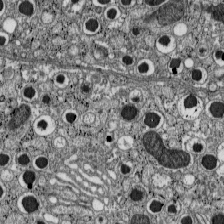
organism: C57BL Mouse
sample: Pancreatic islet